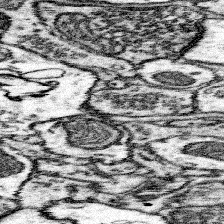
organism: Mouse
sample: Somatosensory cortex neuropil